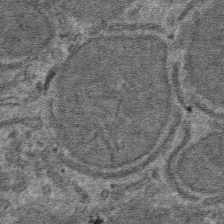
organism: Mouse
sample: Mouse hepatocytes